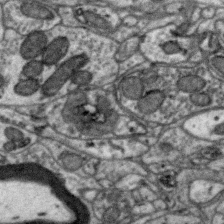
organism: Zebra finch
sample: Brain